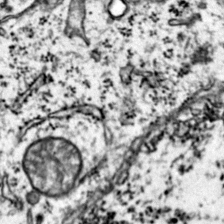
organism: Mouse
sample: Primary visual cortex